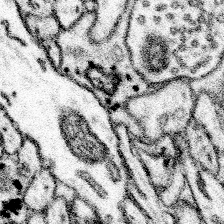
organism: Mouse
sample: Somatosensory cortex neuropil